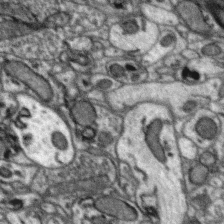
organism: Zebra finch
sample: Brain